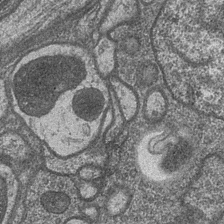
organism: Drosophila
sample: Optic medulla